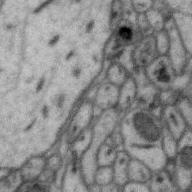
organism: Zebra finch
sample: Brain